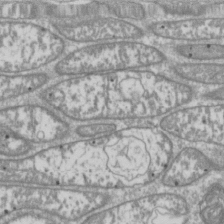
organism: Drosophila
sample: Cell division; meiosis; drosophila spermatocytes